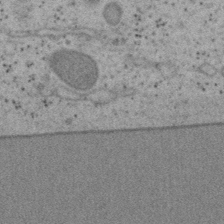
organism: Human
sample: HeLa cells